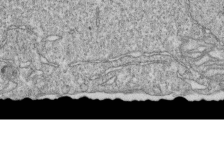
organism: Human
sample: HeLa cell HIV synapse